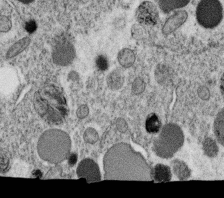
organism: C. elegans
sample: C. elegans oocyte; sperm cells